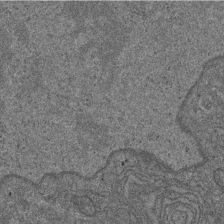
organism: Drosophila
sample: Nephrocyte